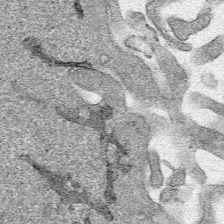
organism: Human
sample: Mitochondria in HCT116 cells